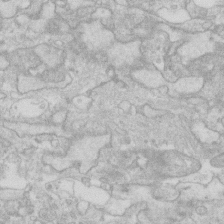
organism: Human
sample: Fibroblast cells